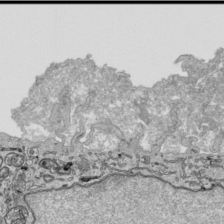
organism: Human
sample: Mitochondria in HCT116 cells